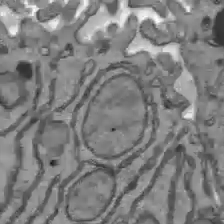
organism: C57BL Mouse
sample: Liver